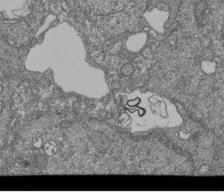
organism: Human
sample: Retinal organoid Rod and Cone cells